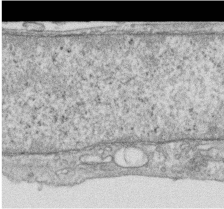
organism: Human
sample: Centriole in RPE cells